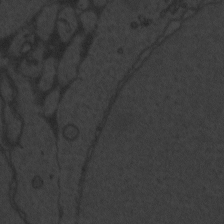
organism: Zebrafish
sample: Macrophage infected with Toxoplasma gondii